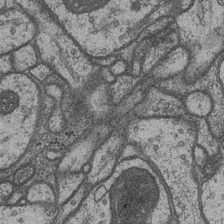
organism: Drosophila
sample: Optic medulla